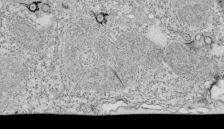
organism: Tetrahymena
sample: Cilia in tetrahymena